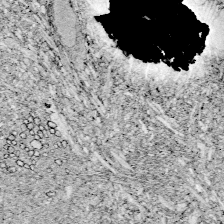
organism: Zebrafish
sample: Whole-Brain